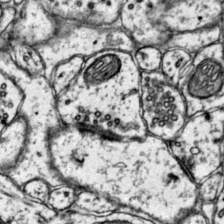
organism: Mouse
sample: Primary visual cortex